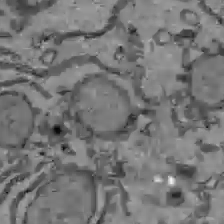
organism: C57BL Mouse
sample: Liver